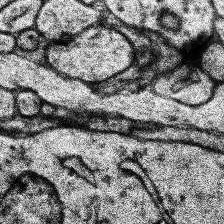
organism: Human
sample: Temporal Lobe